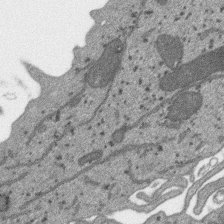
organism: Human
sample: Lung epithelial cells infected with SARS-CoV-2